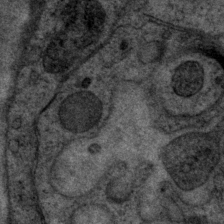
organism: P. pacificus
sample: Pharynx